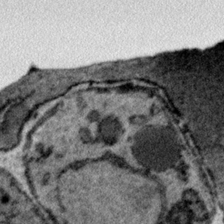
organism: Plasmodium falciparum